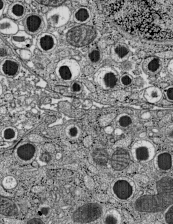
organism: C57BL Mouse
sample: Pancreatic islet